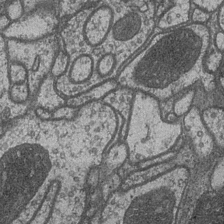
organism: Drosophila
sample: Optic medulla